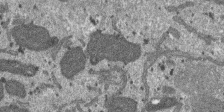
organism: Human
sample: Lung epithelial cells infected with SARS-CoV-2